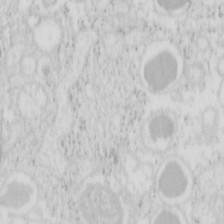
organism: Mouse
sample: Pancreas